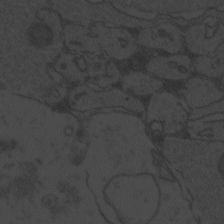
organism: Zebrafish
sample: Macrophage infected with Toxoplasma gondii